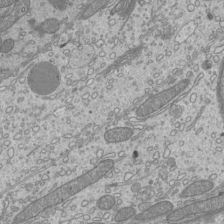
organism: Mouse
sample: Cilia; mouse epididymis